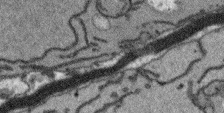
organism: Arabidopsis thaliana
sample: Root tip